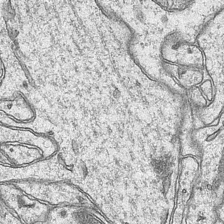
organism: Mouse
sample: CA1 Hippocampus